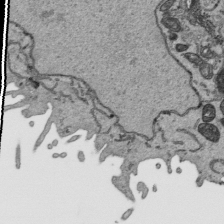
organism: Human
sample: Mitochondria in HCT116 cells